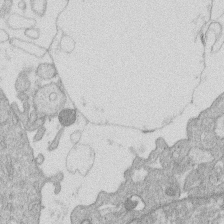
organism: Human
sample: Macrophage cells